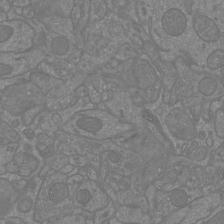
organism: Mouse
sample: Cortical neurons